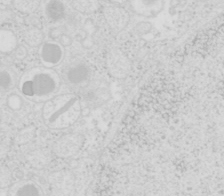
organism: Mouse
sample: Pancreas